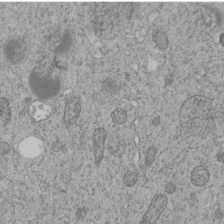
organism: C. elegans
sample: C. elegans embryo early stage